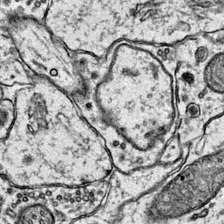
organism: Mouse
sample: Primary visual cortex